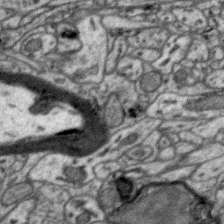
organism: Zebra finch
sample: Brain